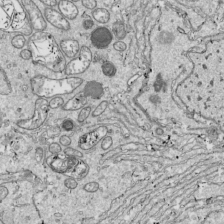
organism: Drosophila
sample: Cell division; meiosis; drosophila spermatocytes